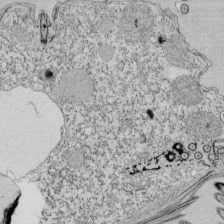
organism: Tetrahymena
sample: Cilia in tetrahymena